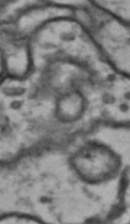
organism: Drosophila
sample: Brain